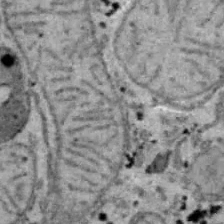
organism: Mouse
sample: Liver from an obese (ob/ob) mouse